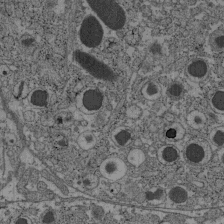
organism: C57BL Mouse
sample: Pancreatic islet